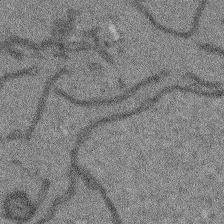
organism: Arabidopsis thaliana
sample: Root tip